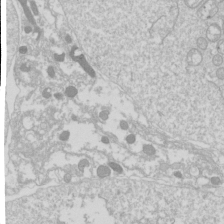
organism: Drosophila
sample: Cell division; meiosis; drosophila spermatocytes